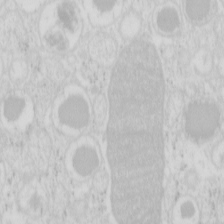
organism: Mouse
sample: Pancreas